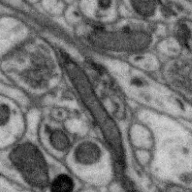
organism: Zebra finch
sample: Brain